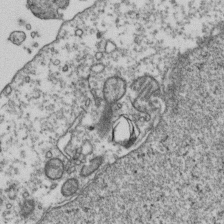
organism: Human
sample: Activated Jurkat CD4+ T cells